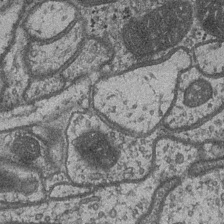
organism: Drosophila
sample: Optic medulla